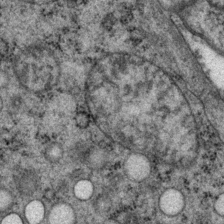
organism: P. pacificus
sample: Pharynx